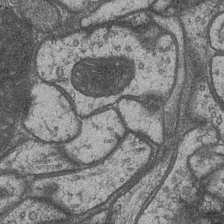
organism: Drosophila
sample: Optic medulla